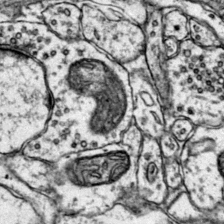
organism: Mouse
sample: Primary visual cortex